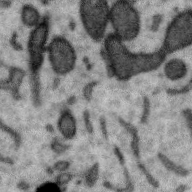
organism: Zebra finch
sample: Brain